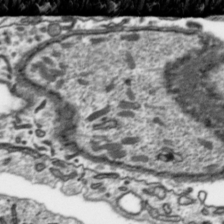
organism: Toxoplasma gondii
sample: Parasites in a vacuole inside a host cell